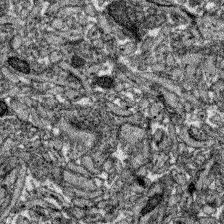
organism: Zebrafish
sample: Larval olfactory bulb